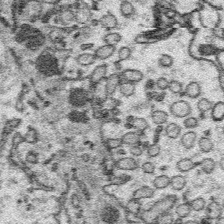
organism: Platynereis dumerilii